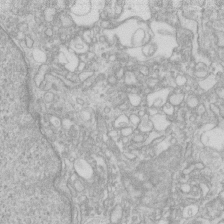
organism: Human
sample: Fibroblast cells